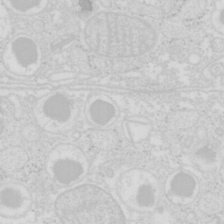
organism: Mouse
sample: Pancreas